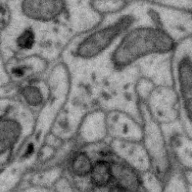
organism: Zebra finch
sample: Brain